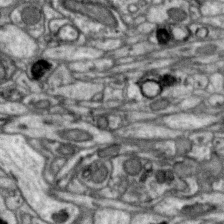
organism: Zebra finch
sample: Brain